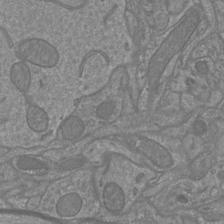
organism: Mouse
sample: Cortical neurons